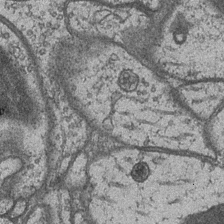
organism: Drosophila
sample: Optic medulla